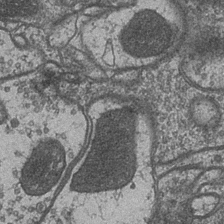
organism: Drosophila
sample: Optic medulla